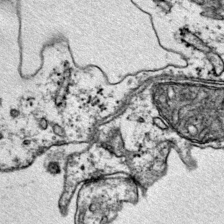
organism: Mouse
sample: Primary visual cortex